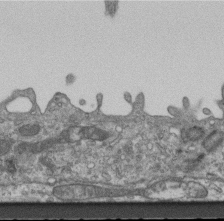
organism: Mouse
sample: Centriole in ependymal cells